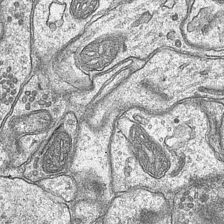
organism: Mouse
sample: CA1 Hippocampus